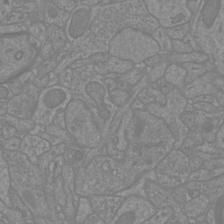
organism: Mouse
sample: Cortical neurons